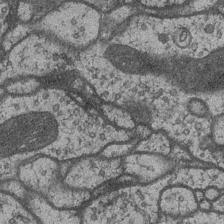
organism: Drosophila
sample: Optic medulla